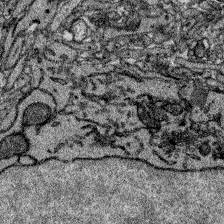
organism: Zebrafish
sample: Larval olfactory bulb